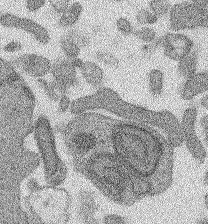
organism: Human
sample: HeLa cells